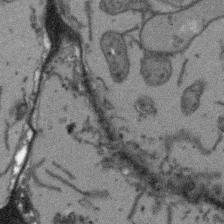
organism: Arabidopsis thaliana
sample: Root tip